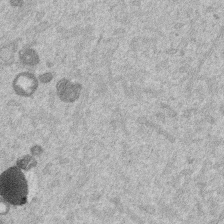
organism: Mouse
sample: Dividing mouse embryo 1 cell stage